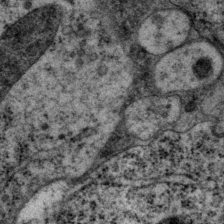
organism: P. pacificus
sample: Pharynx